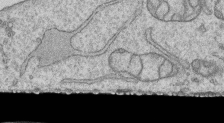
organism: Human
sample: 1205lu cells